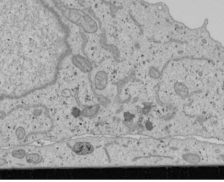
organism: Human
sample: Mitochondria in U2OS cells